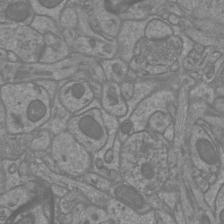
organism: Mouse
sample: Cortical neurons